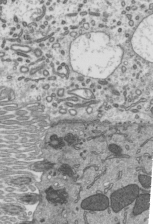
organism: Mouse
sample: Mouse epididymis efferent ductule cilia